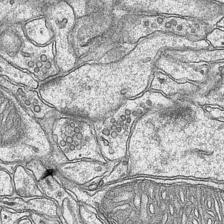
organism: Mouse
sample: CA1 Hippocampus